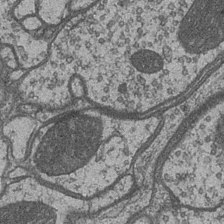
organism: Drosophila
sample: Optic medulla